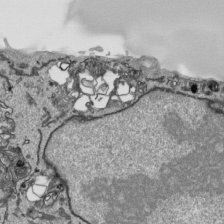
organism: Human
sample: Mitochondria in HCT116 cells